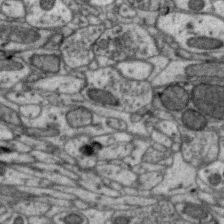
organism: Zebra finch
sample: Brain